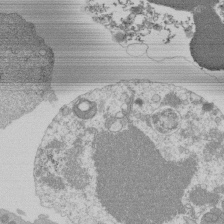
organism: Mouse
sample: Activated Pmel transgenic CD8+ T Cells